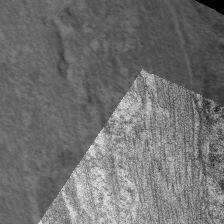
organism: C. elegans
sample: Pharynx